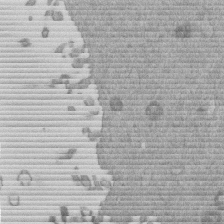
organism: Mouse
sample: Dividing mouse embryo 1 cell stage